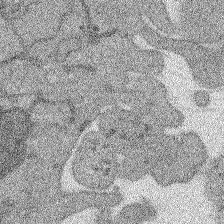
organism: Human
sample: HeLa cells